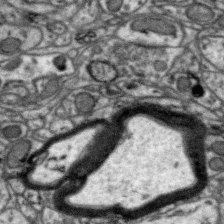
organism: Zebra finch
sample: Brain